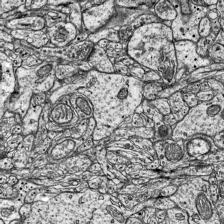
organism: Mouse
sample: Visual Cortex